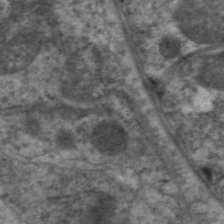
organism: C. elegans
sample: Pharynx